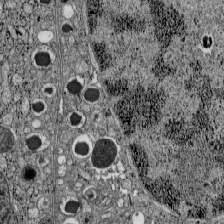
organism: C57BL Mouse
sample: Pancreatic islet